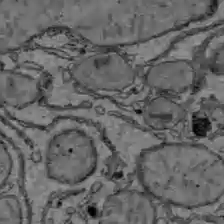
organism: C57BL Mouse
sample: Liver